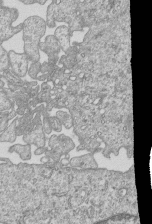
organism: Human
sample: MDA-MB-231 cells